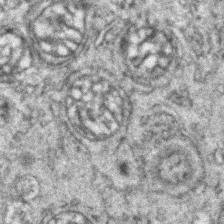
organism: Zebrafish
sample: Zebrafish embryo